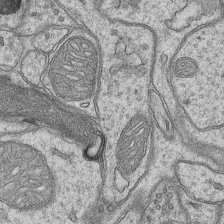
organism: Mouse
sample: CA1 Hippocampus